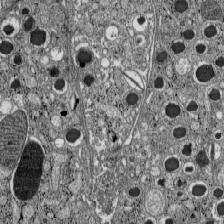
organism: C57BL Mouse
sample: Pancreatic islet